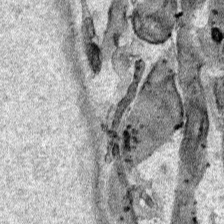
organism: Human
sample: Mitochondria in HCT116 cells